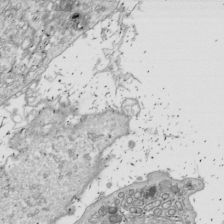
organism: Drosophila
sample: Cell division; meiosis; drosophila spermatocytes